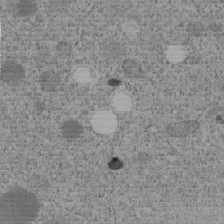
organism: C. elegans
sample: C. elegans embryo early stage